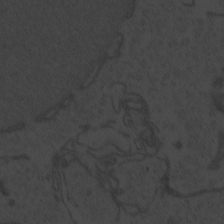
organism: Zebrafish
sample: Macrophage infected with Toxoplasma gondii